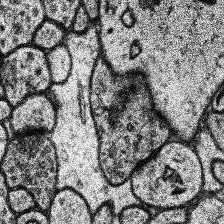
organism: Human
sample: Temporal Lobe